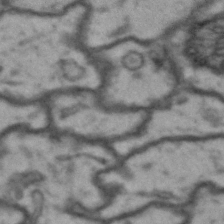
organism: Drosophila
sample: Brain